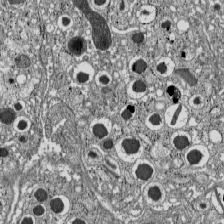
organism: C57BL Mouse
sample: Pancreatic islet